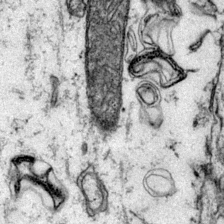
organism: Mouse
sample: Primary visual cortex